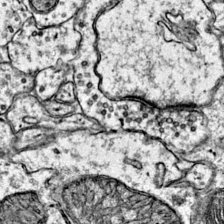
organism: Mouse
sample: Primary visual cortex